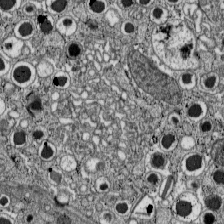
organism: C57BL Mouse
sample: Pancreatic islet